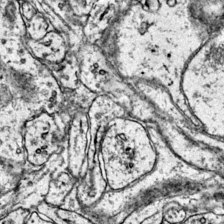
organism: Mouse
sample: Primary visual cortex